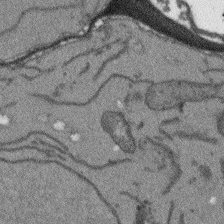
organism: Arabidopsis thaliana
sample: Root tip